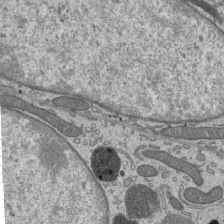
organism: Mouse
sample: Mouse epididymis efferent ductule cilia